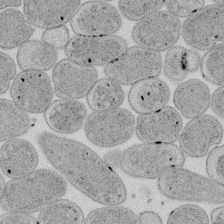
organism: E. coli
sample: Bacterial nucleoid